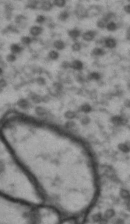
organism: Drosophila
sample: Brain